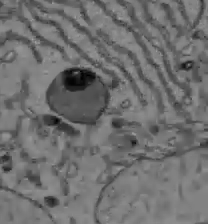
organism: C57BL Mouse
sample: Liver